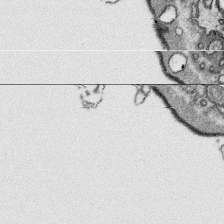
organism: Platynereis dumerilii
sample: Parapodia